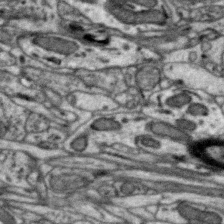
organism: Zebra finch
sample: Brain